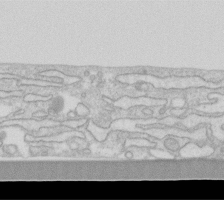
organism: Human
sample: Fibroblast cells